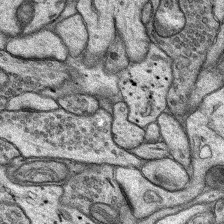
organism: Rat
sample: Hippocampus